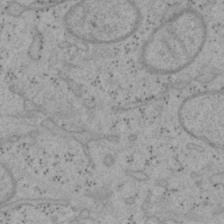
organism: Human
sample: HeLa cells